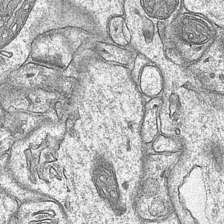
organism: Mouse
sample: CA1 Hippocampus